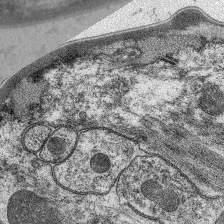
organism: C. elegans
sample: Pharynx